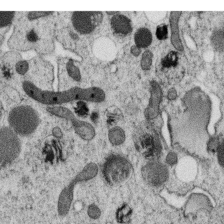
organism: C. elegans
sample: C. elegans oocyte; sperm cells